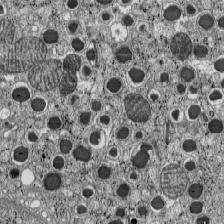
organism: C57BL Mouse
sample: Pancreatic islet